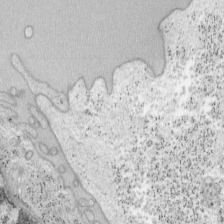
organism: Mouse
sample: OT-I killer T cells with ID8 ovarian cancer cells